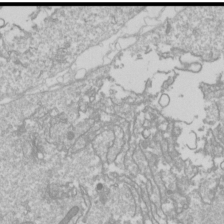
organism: Drosophila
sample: Cell division; meiosis; drosophila spermatocytes